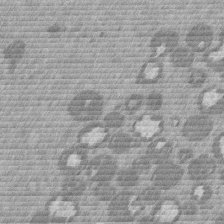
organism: Mouse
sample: Dividing mouse embryo 1 cell stage